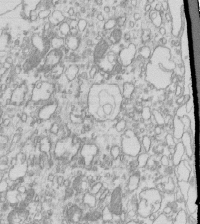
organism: Mouse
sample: Macrophages